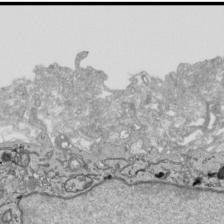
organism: Human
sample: Mitochondria in HCT116 cells